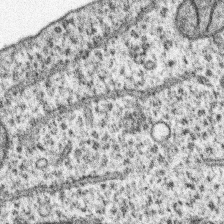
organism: Human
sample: HeLa cells